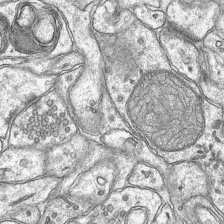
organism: Mouse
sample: CA1 Hippocampus